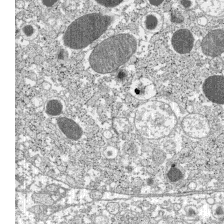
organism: C57BL Mouse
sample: Pancreatic islet